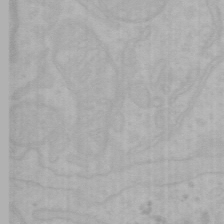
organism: Mouse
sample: Choroid plexus